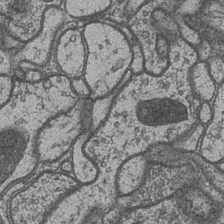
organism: Drosophila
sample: Optic medulla